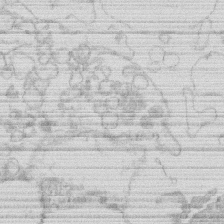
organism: Human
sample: Macrophage cells